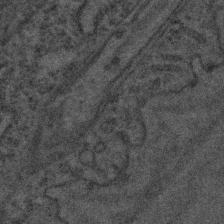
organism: C. elegans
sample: C. elegans embryo